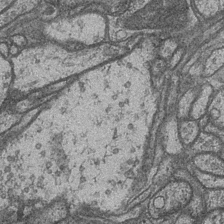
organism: Drosophila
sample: Optic medulla